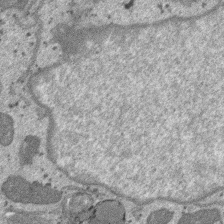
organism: Human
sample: Lung epithelial cells infected with SARS-CoV-2